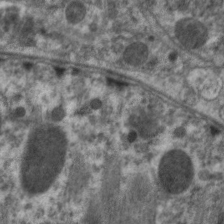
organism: C. elegans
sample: Pharynx